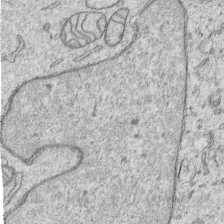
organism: Human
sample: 1205lu cells